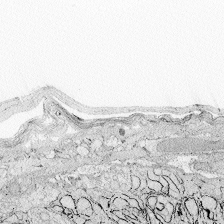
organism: Zebrafish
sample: Whole-Brain